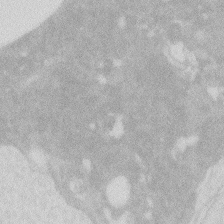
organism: Zebrafish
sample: Macrophage